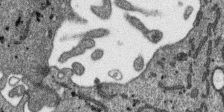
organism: Human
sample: Lung epithelial cells infected with SARS-CoV-2